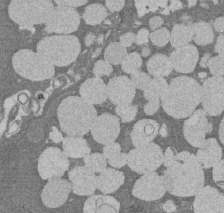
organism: Rat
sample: Salivary granule